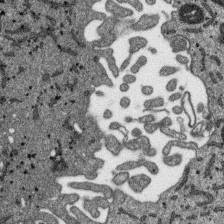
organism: Human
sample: Lung epithelial cells infected with SARS-CoV-2